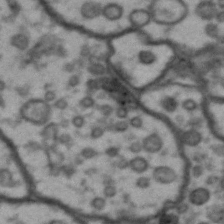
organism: Drosophila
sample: Brain